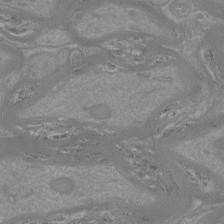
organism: Mouse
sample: Cortical neurons